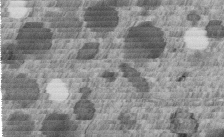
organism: C. elegans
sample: C. elegans embryo early stage